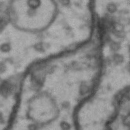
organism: Drosophila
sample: Brain